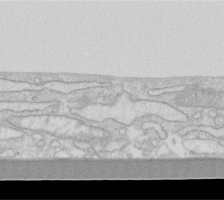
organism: Human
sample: Fibroblast cells